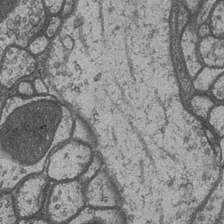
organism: Drosophila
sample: Optic medulla